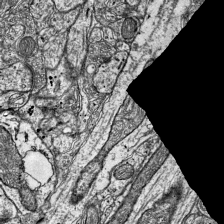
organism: Mouse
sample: Visual Cortex